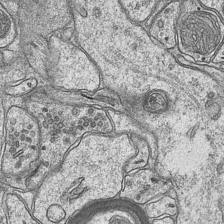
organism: Mouse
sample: CA1 Hippocampus